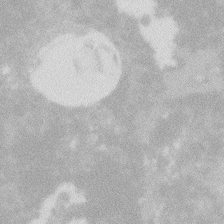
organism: Zebrafish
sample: Macrophage